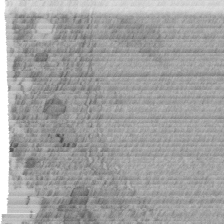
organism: C. elegans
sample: C. elegans embryo early stage